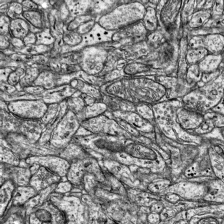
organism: Mouse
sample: Visual Cortex